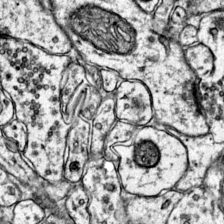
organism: Mouse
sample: Primary visual cortex